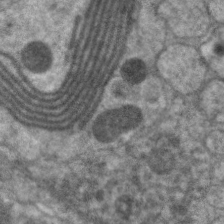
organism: C. elegans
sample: Pharynx